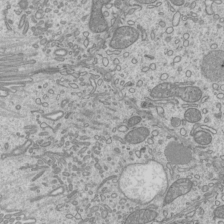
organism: Mouse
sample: Cilia; mouse epididymis